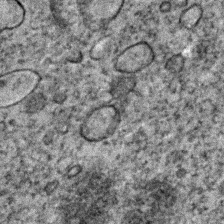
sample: Trachea